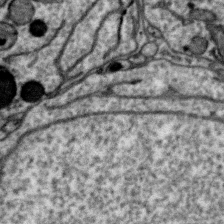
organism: Zebra finch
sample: Brain